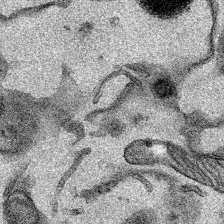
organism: Mouse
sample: Cancer cell death in ED-1 cells